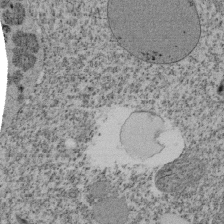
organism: Tetrahymena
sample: Cilia in tetrahymena